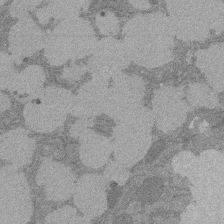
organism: Rat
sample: Salivary granule